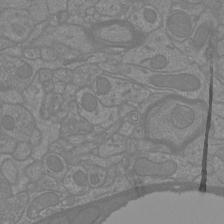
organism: Mouse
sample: Cortical neurons